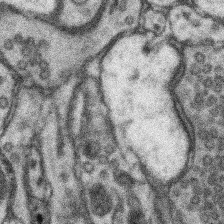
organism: Mouse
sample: Somatosensory cortex neuropil